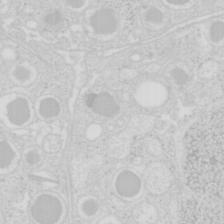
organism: Mouse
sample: Pancreas